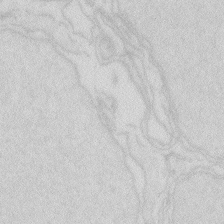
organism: Zebrafish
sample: Macrophage